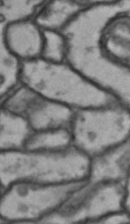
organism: Drosophila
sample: Brain